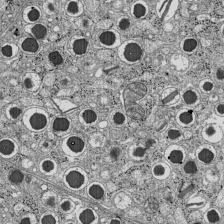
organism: C57BL Mouse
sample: Pancreatic islet